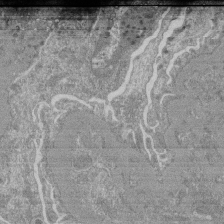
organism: Mouse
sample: Glomerulus